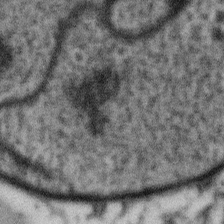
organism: Gemmata obscuriglobus